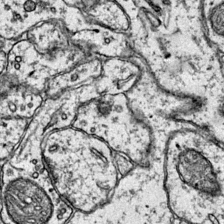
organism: Mouse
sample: Primary visual cortex